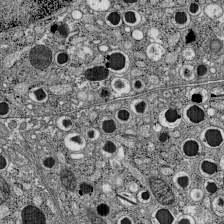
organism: C57BL Mouse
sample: Pancreatic islet